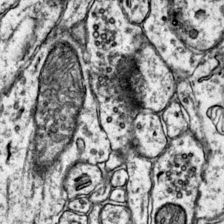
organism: Mouse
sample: Primary visual cortex